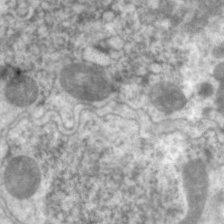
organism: C. elegans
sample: Pharynx